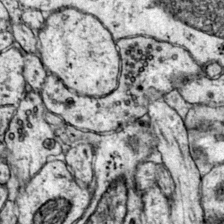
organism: Mouse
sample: Primary visual cortex